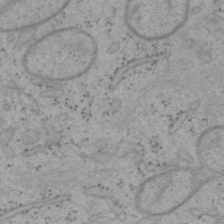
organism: Human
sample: HeLa cells